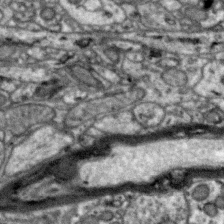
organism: Zebra finch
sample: Brain